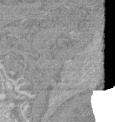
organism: Mouse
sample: Glomerulus